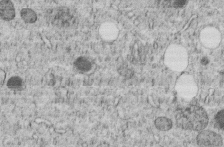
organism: C. elegans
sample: C. elegans embryo early stage